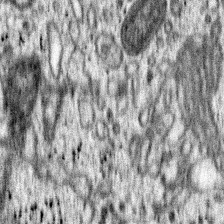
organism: Human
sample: HeLa cells